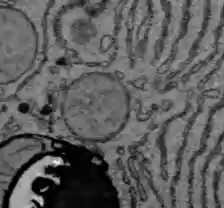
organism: C57BL Mouse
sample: Liver